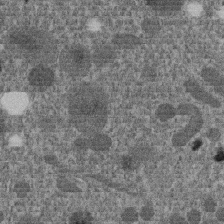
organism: C. elegans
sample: C. elegans embryo early stage